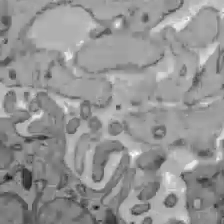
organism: C57BL Mouse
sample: Liver